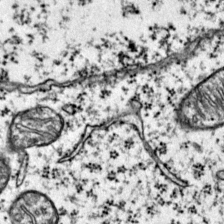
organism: Mouse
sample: Primary visual cortex